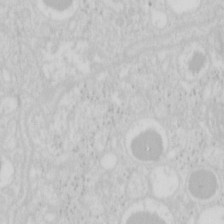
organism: Mouse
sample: Pancreas